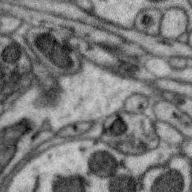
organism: Zebra finch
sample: Brain